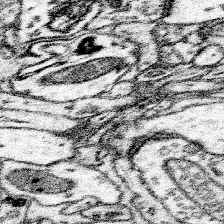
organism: Mouse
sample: Somatosensory cortex neuropil